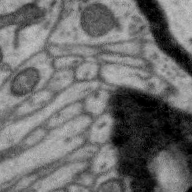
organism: Zebra finch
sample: Brain